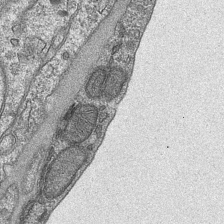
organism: Mouse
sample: CA1 Hippocampus